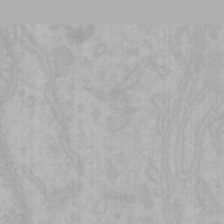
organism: Mouse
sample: Choroid plexus